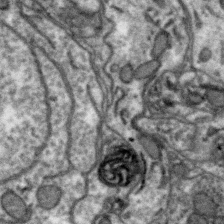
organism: Zebra finch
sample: Brain